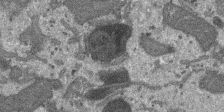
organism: Human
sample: Lung epithelial cells infected with SARS-CoV-2